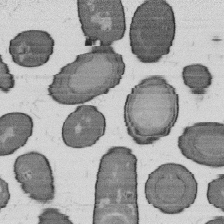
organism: B. subtilis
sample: Bacterial spore